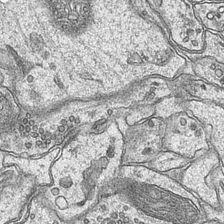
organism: Mouse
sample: CA1 Hippocampus